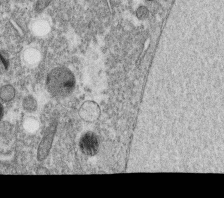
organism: C. elegans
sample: C. elegans oocyte; sperm cells